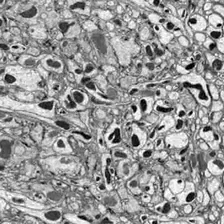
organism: Drosophila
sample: Optic lobe